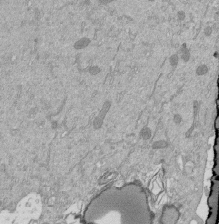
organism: Mouse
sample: ED-1 cell nuclei; centrioles